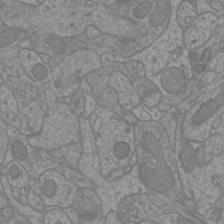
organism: Mouse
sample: Cortical neurons